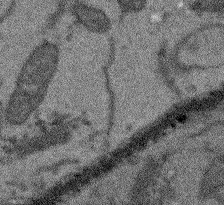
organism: Arabidopsis thaliana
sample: Root tip